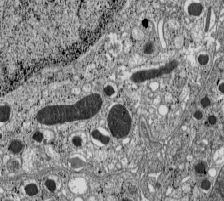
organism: C57BL Mouse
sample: Pancreatic islet